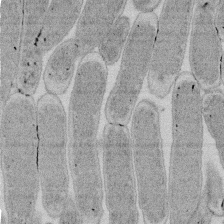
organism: E. coli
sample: Bacterial nucleoid